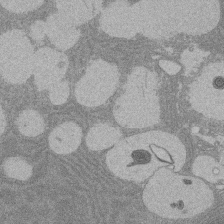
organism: Rat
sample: Salivary granule